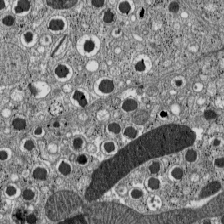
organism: C57BL Mouse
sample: Pancreatic islet